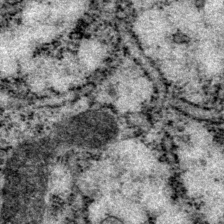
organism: P. pacificus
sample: Pharynx